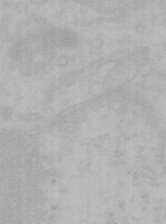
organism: Mouse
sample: Choroid plexus